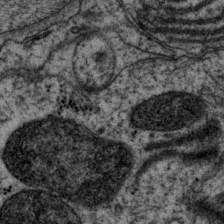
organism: P. pacificus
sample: Pharynx